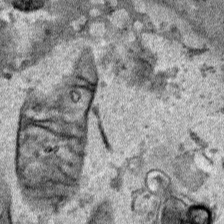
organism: Human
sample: Mitochondria in HCT116 cells